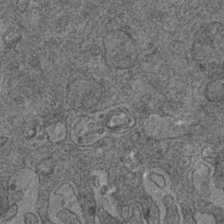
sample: Trachea